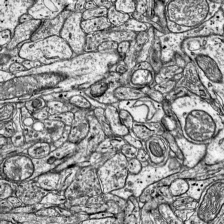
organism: Mouse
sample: Visual Cortex